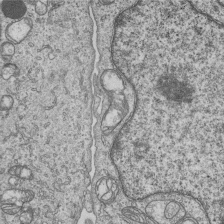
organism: Human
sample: MDA-MB-231 cells